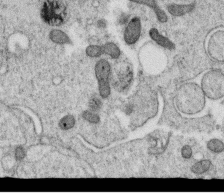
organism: C. elegans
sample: C. elegans oocyte; sperm cells